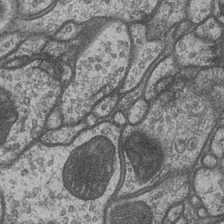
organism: Drosophila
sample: Optic medulla